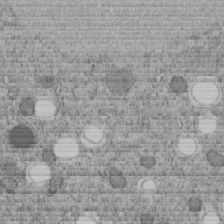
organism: C. elegans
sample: C. elegans embryo early stage